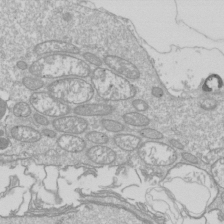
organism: Drosophila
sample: Cell division; meiosis; drosophila spermatocytes